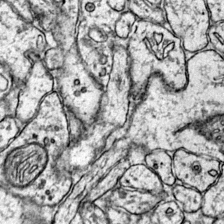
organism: Mouse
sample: Primary visual cortex